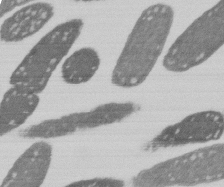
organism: E. coli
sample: Bacterial nucleoid